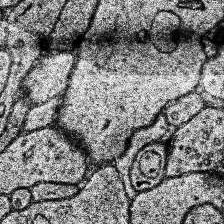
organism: Human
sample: Temporal Lobe